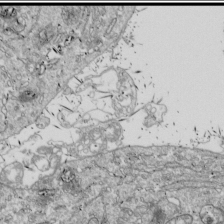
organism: Drosophila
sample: Cell division; meiosis; drosophila spermatocytes